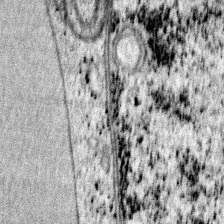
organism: Human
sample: HeLa cells